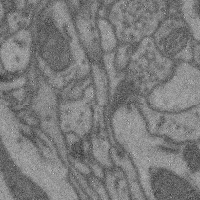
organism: Mouse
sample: Cerebral cortex